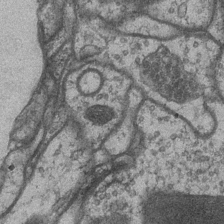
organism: Drosophila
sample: Optic medulla